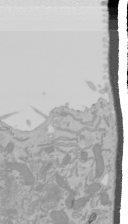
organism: Mouse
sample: Cancer cell death in ED-1 cells